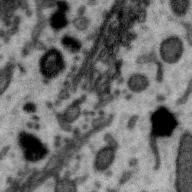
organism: Zebra finch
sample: Brain